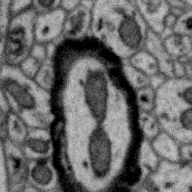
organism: Zebra finch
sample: Brain